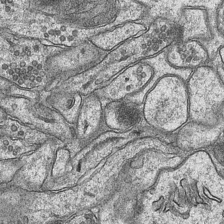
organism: Mouse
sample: CA1 Hippocampus